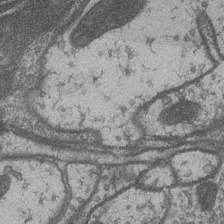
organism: Drosophila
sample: Optic medulla